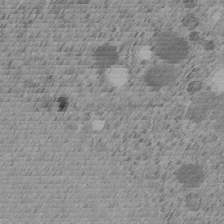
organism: C. elegans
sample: C. elegans embryo early stage